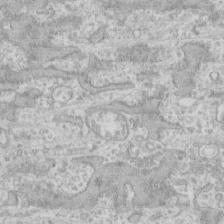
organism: Human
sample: CRL-1474